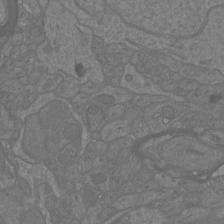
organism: Mouse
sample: Cortical neurons